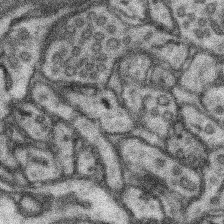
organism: Mouse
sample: Somatosensory cortex neuropil